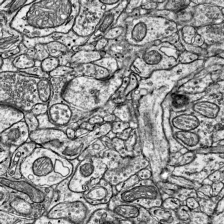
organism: Mouse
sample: Visual Cortex